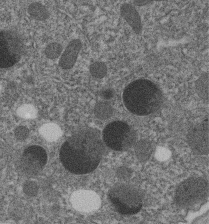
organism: C. elegans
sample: C. elegans embryo early stage